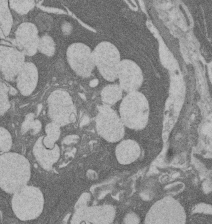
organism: Rat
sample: Salivary granule